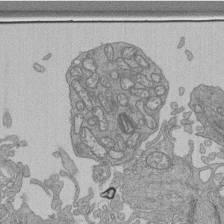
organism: Human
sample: Retinal organoid Rod and Cone cells